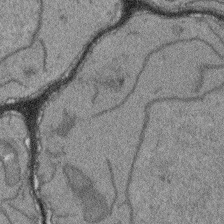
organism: Arabidopsis thaliana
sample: Root tip